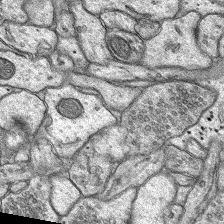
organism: Rat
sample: Hippocampus